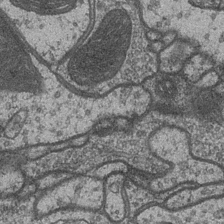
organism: Drosophila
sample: Optic medulla